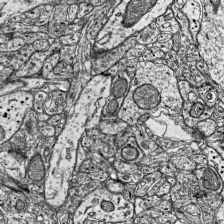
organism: Mouse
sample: Visual Cortex